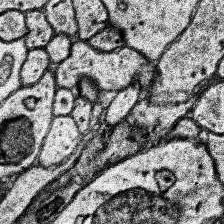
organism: Human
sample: Temporal Lobe